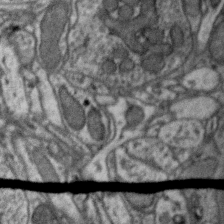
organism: Zebra finch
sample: Brain